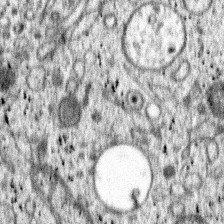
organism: Human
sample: HeLa cells